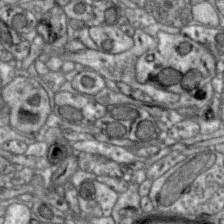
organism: Zebra finch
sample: Brain